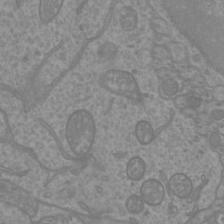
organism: Mouse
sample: Cortical neurons